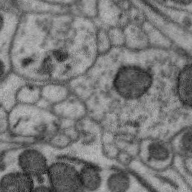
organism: Zebra finch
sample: Brain